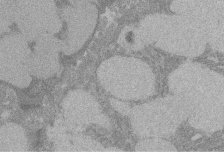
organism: Rat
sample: Salivary granule